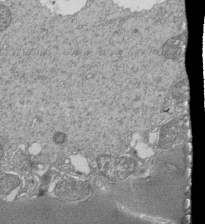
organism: Tetrahymena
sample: Cilia in tetrahymena